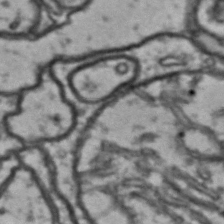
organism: Drosophila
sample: Brain